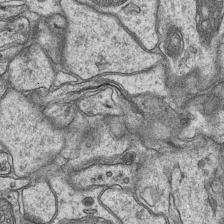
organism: Mouse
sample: CA1 Hippocampus